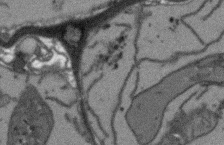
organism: Arabidopsis thaliana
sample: Root tip